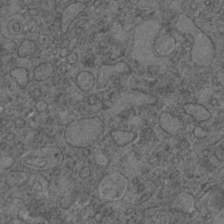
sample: Trachea